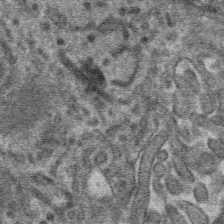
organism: Mouse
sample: Mouse hepatocytes